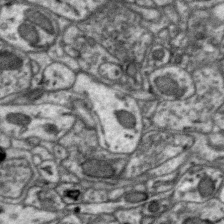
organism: Zebra finch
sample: Brain